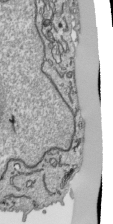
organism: Human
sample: Mitochondria in HCT116 cells